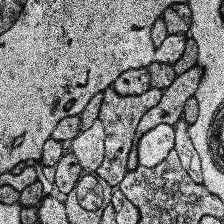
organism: Human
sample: Temporal Lobe